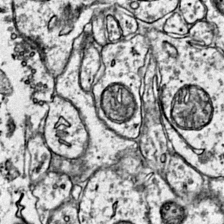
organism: Mouse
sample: Primary visual cortex